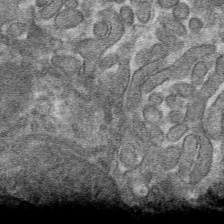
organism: Mouse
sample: Mouse hepatocytes